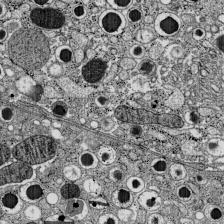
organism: C57BL Mouse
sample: Pancreatic islet